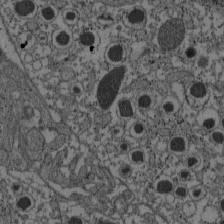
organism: C57BL Mouse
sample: Pancreatic islet